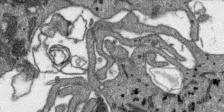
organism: Human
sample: Lung epithelial cells, uninfected (mock) control